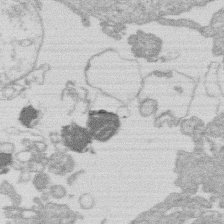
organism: Human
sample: Macrophage cells